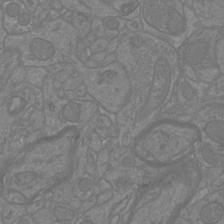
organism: Mouse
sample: Cortical neurons